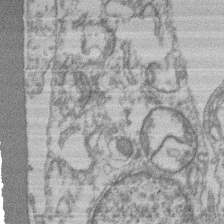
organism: Mouse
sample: T cell stromal cell synapse